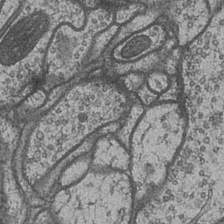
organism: Drosophila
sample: Optic medulla